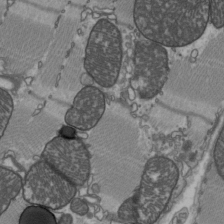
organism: C57BL Mouse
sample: Heart